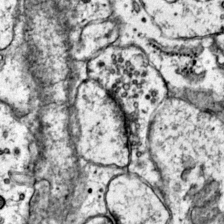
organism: Mouse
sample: Primary visual cortex